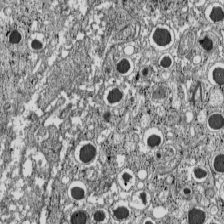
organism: C57BL Mouse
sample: Pancreatic islet